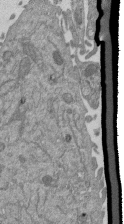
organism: Mouse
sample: ED-1 cell nuclei; centrioles